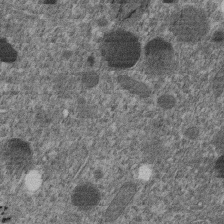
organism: C. elegans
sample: C. elegans embryo early stage